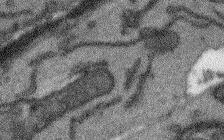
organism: Arabidopsis thaliana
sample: Root tip